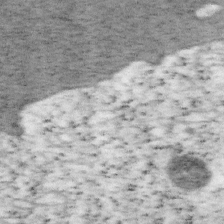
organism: Mouse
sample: OT-I killer T cells with ID8 ovarian cancer cells